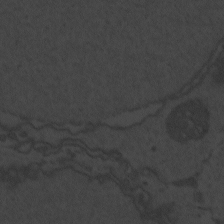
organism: Zebrafish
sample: Macrophage infected with Toxoplasma gondii